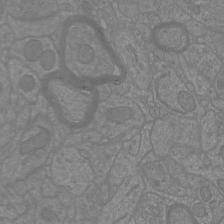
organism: Mouse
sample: Cortical neurons